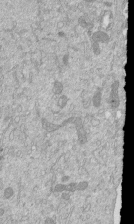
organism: Mouse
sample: ED-1 cell nuclei; centrioles